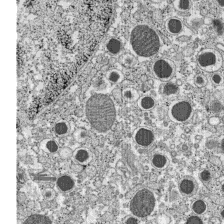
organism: C57BL Mouse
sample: Pancreatic islet